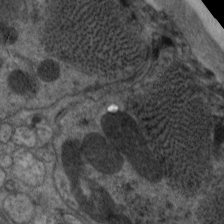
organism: C. elegans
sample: Pharynx